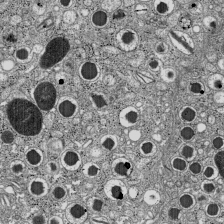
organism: C57BL Mouse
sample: Pancreatic islet